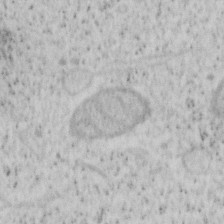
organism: Human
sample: HeLa cells